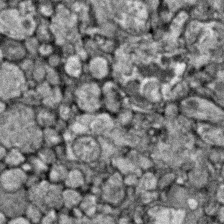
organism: Zebrafish